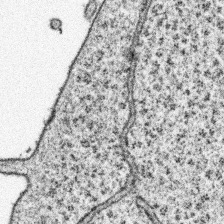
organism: Human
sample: HeLa cells